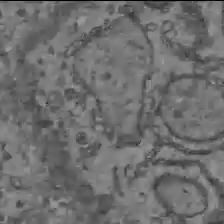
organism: C57BL Mouse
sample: Liver